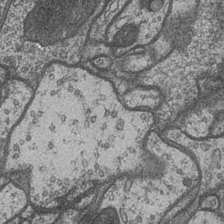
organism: Drosophila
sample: Optic medulla